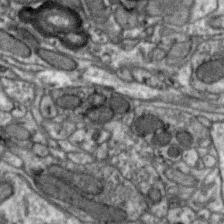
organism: Zebra finch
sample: Brain